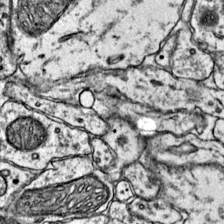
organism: Mouse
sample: Primary visual cortex